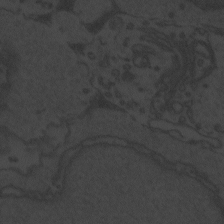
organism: Zebrafish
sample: Macrophage infected with Toxoplasma gondii